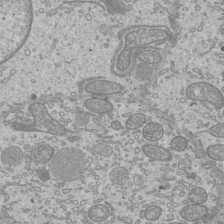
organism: Mouse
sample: Cilia; mouse epididymis